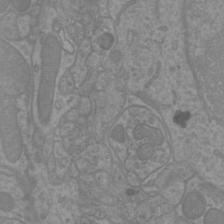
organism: Mouse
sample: Cortical neurons